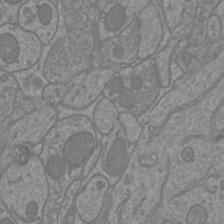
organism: Mouse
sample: Cortical neurons